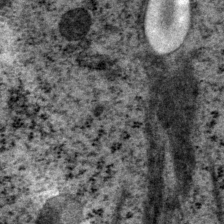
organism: P. pacificus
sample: Pharynx